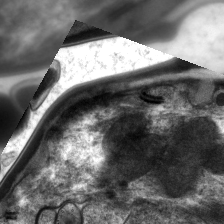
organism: C. elegans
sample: Pharynx